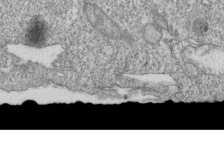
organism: Human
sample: HeLa cell HIV synapse